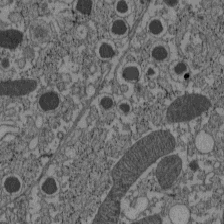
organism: C57BL Mouse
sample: Pancreatic islet